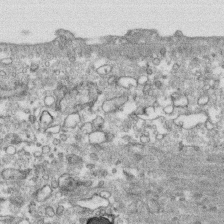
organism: Human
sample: CRL-1474